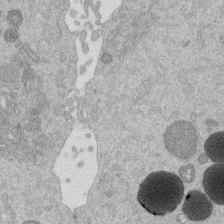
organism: Mouse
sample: Dividing mouse embryo 1 cell stage